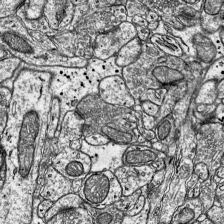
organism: Mouse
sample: Visual Cortex